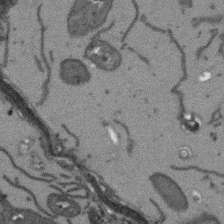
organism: Arabidopsis thaliana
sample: Root tip